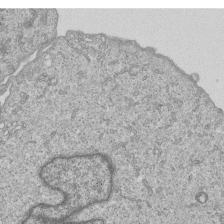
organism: Human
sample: MDA-MB-231 cells